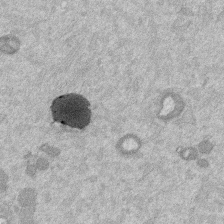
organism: Mouse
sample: Dividing mouse embryo 1 cell stage